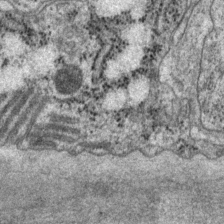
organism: P. pacificus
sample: Pharynx